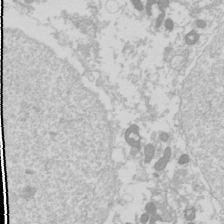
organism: Drosophila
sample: Cell division; meiosis; drosophila spermatocytes